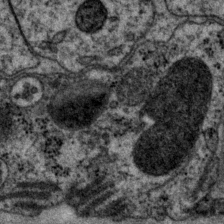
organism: P. pacificus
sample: Pharynx